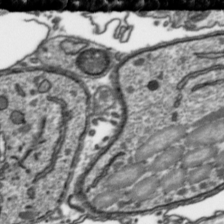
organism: Toxoplasma gondii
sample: Parasites in a vacuole inside a host cell